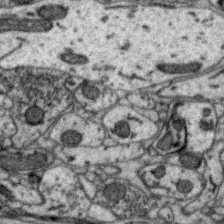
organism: Zebra finch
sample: Brain